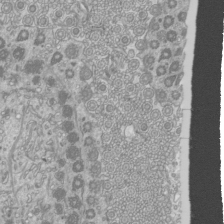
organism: Mouse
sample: Cilia; mouse epididymis